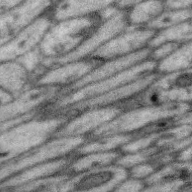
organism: Zebra finch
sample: Brain